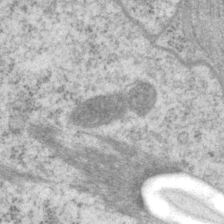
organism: P. pacificus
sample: Pharynx